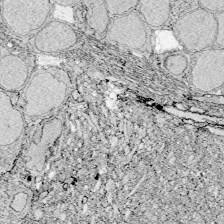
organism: Zebrafish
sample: Whole-Brain